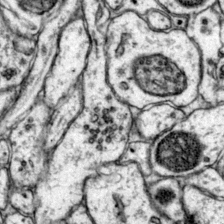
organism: Mouse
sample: Primary visual cortex